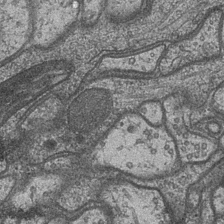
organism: Drosophila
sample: Optic medulla